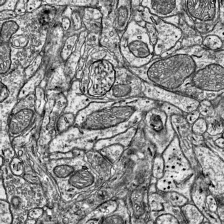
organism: Mouse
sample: Visual Cortex